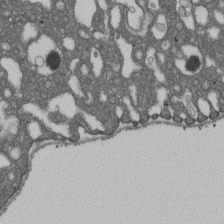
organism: Drosophila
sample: Nephrocyte